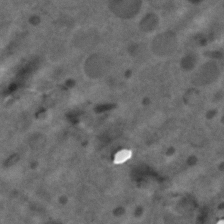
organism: C. elegans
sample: C. elegans embryo